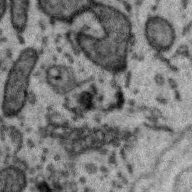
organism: Zebra finch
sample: Brain